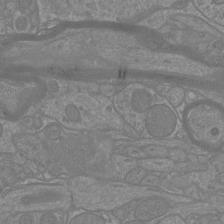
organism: Mouse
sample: Cortical neurons